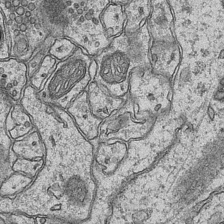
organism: Mouse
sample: CA1 Hippocampus